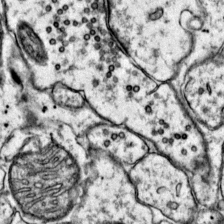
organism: Mouse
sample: Primary visual cortex